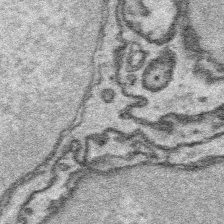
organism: Platynereis dumerilii